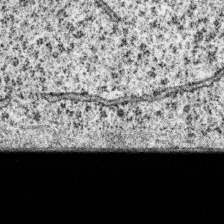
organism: Human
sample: HeLa cells